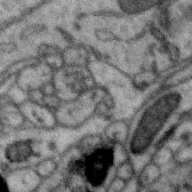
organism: Zebra finch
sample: Brain